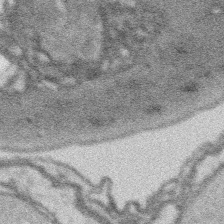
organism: Platynereis dumerilii